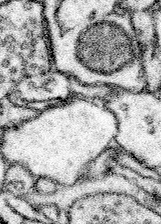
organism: Mouse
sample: Somatosensory cortex neuropil